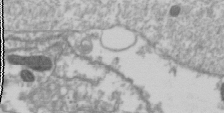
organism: Drosophila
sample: Cell division; meiosis; drosophila spermatocytes